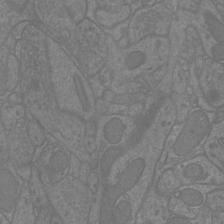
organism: Mouse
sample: Cortical neurons